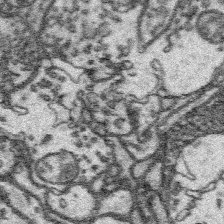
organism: Platynereis dumerilii